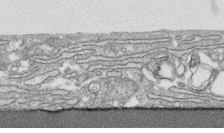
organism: Human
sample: CRL-1474